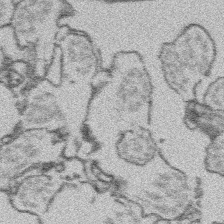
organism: Platynereis dumerilii